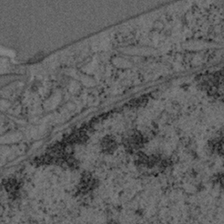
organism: Human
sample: HeLa cells